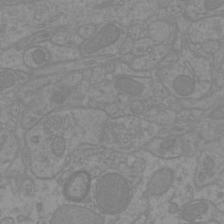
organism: Mouse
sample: Cortical neurons